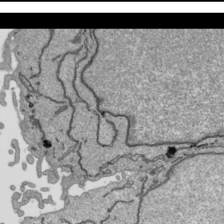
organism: Human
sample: Mitochondria in HCT116 cells